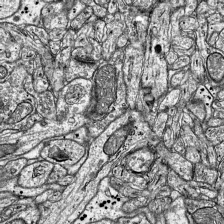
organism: Mouse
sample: Visual Cortex